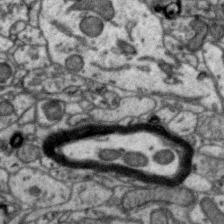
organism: Zebra finch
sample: Brain